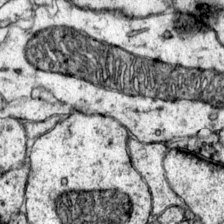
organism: Mouse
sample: Primary visual cortex